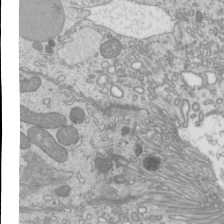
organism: Mouse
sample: Cilia; mouse epididymis